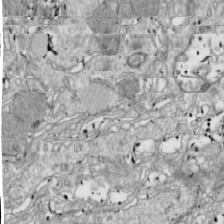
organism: Drosophila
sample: Cell division; meiosis; drosophila spermatocytes